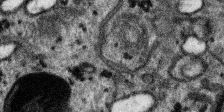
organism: Human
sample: Lung epithelial cells infected with SARS-CoV-2